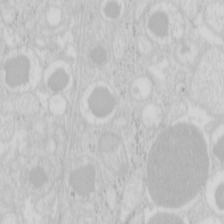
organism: Mouse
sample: Pancreas